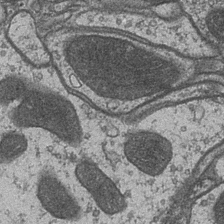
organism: Drosophila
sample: Optic medulla